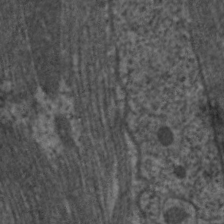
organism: C. elegans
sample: Pharynx